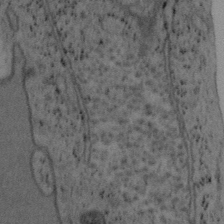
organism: Human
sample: HeLa cells